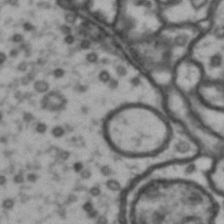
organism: Drosophila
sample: Brain